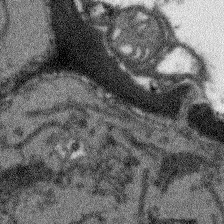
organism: Arabidopsis thaliana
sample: Root tip